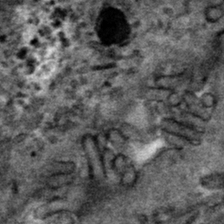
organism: Mouse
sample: Mouse hepatocytes